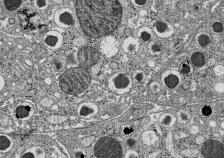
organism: C57BL Mouse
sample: Pancreatic islet